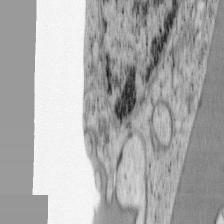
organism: Human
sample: HeLa cells